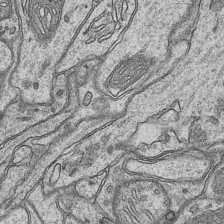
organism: Mouse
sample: CA1 Hippocampus